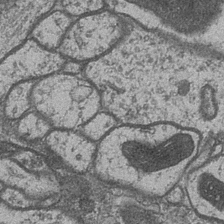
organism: Drosophila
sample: Optic medulla